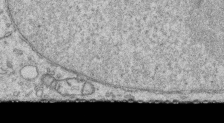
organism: Human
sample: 1205lu cells